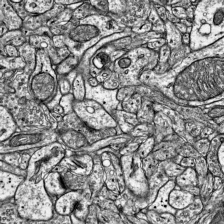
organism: Mouse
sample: Visual Cortex